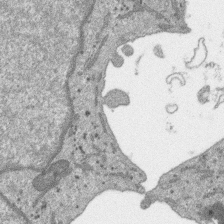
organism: Human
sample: Lung epithelial cells infected with SARS-CoV-2